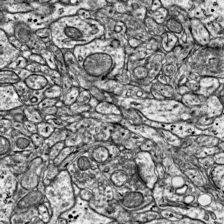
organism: Mouse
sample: Visual Cortex